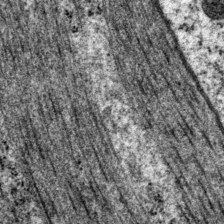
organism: P. pacificus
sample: Pharynx